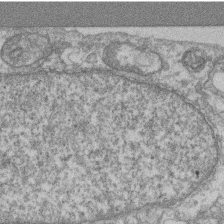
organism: Mouse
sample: T cell stromal cell synapse